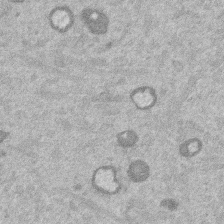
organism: Mouse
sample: Dividing mouse embryo 1 cell stage